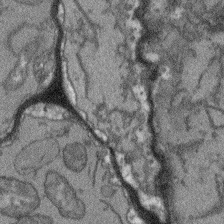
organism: Arabidopsis thaliana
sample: Root tip